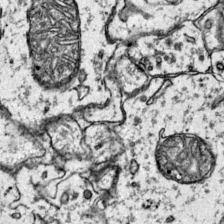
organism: Mouse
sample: Primary visual cortex